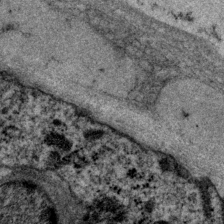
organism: P. pacificus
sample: Pharynx